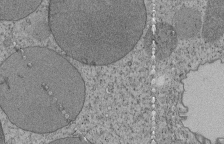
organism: Tetrahymena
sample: Cilia in tetrahymena